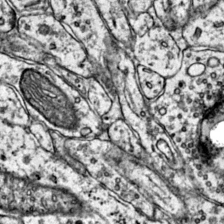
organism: Mouse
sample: Primary visual cortex